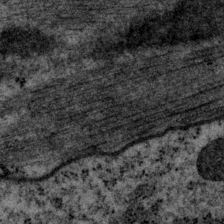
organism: P. pacificus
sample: Pharynx